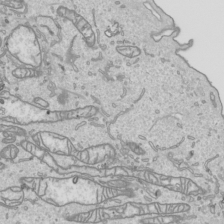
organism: Human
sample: Mitochondria in HCT116 cells